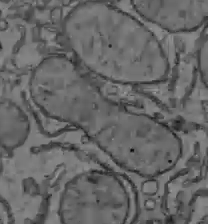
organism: C57BL Mouse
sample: Liver